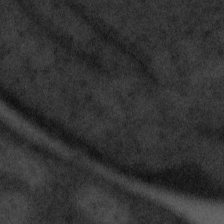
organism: Tuwongella immobilis